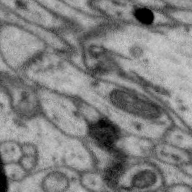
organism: Zebra finch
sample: Brain